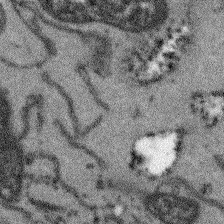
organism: Arabidopsis thaliana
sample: Root tip